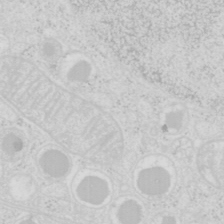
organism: Mouse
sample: Pancreas